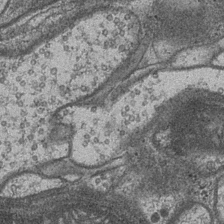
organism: Drosophila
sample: Optic medulla